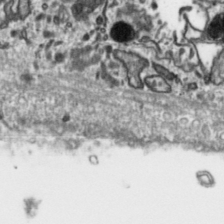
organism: Toxoplasma gondii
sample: Parasites in a vacuole inside a host cell